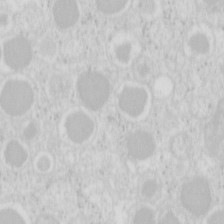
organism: Mouse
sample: Pancreas